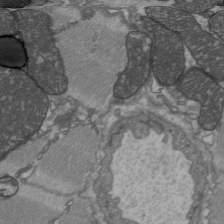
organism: C57BL Mouse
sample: Heart